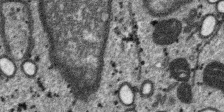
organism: Human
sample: Lung epithelial cells infected with SARS-CoV-2